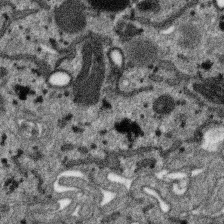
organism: Human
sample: Lung epithelial cells infected with SARS-CoV-2